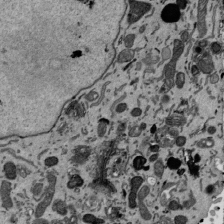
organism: Mouse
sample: ED-1 cell nuclei; centrioles